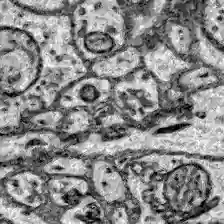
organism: Zebrafish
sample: Brain